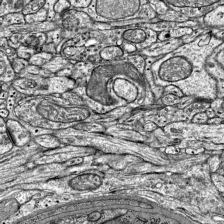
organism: Mouse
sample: Visual Cortex